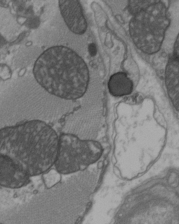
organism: C57BL Mouse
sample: Heart